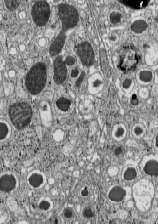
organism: C57BL Mouse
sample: Pancreatic islet